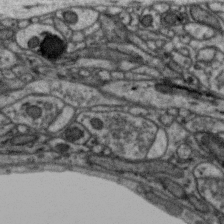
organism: Zebra finch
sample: Brain